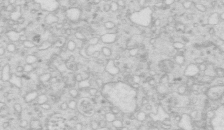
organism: Mouse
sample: Multiciliated cells